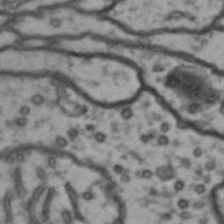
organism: Drosophila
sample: Brain